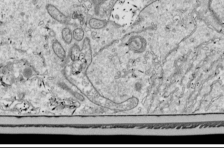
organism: Drosophila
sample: Cell division; meiosis; drosophila spermatocytes